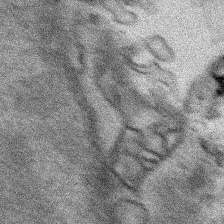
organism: Human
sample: Mitochondria in HCT116 cells